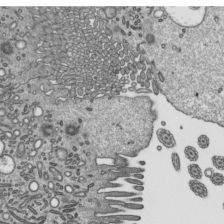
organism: Mouse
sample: Mouse epididymis efferent ductule cilia